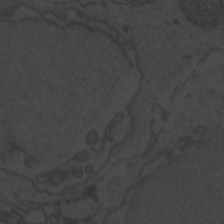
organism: Zebrafish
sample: Macrophage infected with Toxoplasma gondii